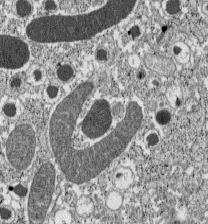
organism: C57BL Mouse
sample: Pancreatic islet